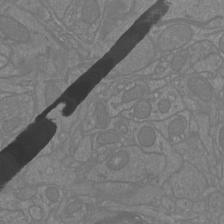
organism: Mouse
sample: Cortical neurons